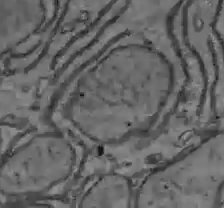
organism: C57BL Mouse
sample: Liver